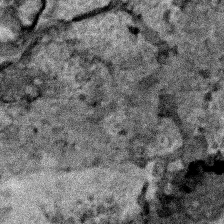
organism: Human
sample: Mitochondria in HCT116 cells